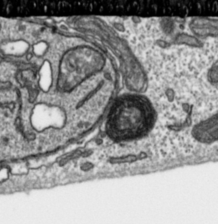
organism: Toxoplasma gondii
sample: Parasites in a vacuole inside a host cell